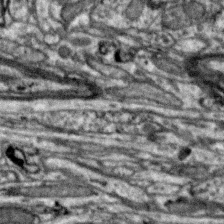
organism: Zebra finch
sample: Brain